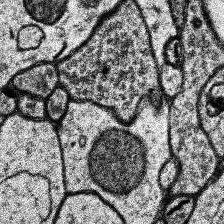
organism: Human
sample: Temporal Lobe